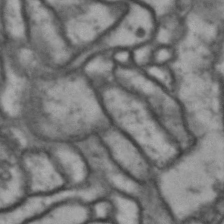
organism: Drosophila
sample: Brain